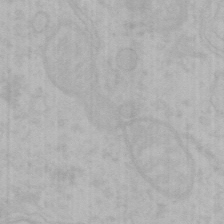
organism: Mouse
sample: Choroid plexus